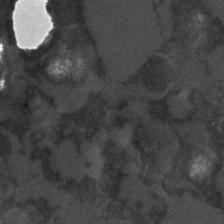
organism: C. elegans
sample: C. elegans embryo